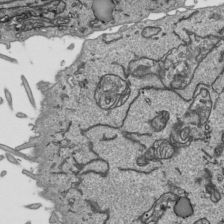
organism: Human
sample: Mitochondria in HCT116 cells